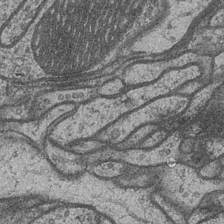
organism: Drosophila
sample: Optic medulla